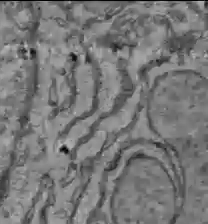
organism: C57BL Mouse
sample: Liver